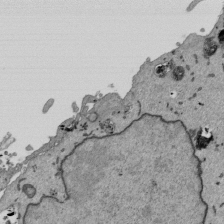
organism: Mouse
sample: ED-1 cell nuclei; centrioles